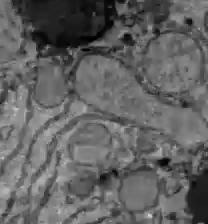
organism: C57BL Mouse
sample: Liver